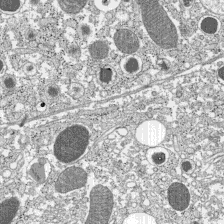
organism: C57BL Mouse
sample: Pancreatic islet